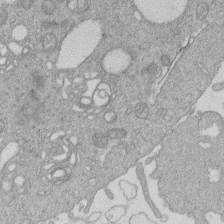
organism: Human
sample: Macrophage cells